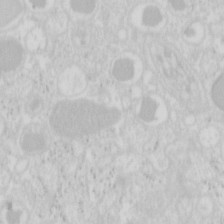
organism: Mouse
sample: Pancreas